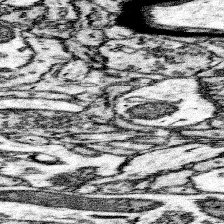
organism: Mouse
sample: Somatosensory cortex neuropil